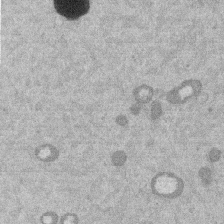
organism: Mouse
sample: Dividing mouse embryo 1 cell stage